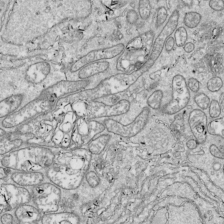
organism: Drosophila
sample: Cell division; meiosis; drosophila spermatocytes